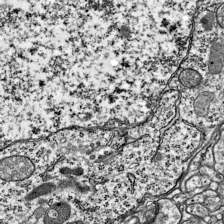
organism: Mouse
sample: Visual Cortex